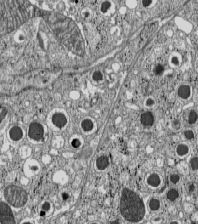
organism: C57BL Mouse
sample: Pancreatic islet